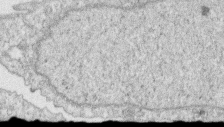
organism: Human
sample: HeLa cell HIV synapse